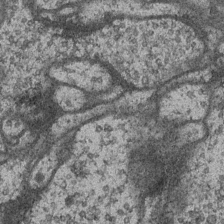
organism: Drosophila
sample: Optic medulla